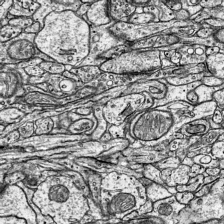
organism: Mouse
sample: Visual Cortex